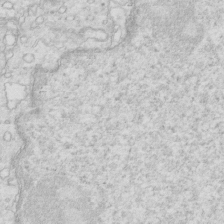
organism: Mouse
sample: Multiciliated cells